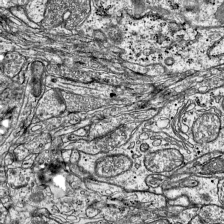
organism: Mouse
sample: Visual Cortex